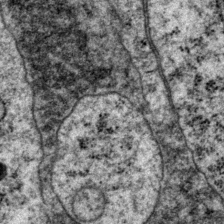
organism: P. pacificus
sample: Pharynx